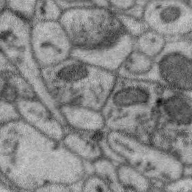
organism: Zebra finch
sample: Brain